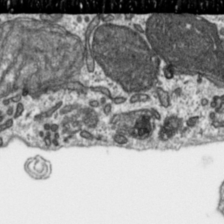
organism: Toxoplasma gondii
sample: Parasites in a vacuole inside a host cell